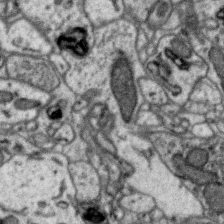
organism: Zebra finch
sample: Brain